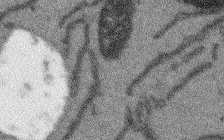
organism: Arabidopsis thaliana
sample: Root tip